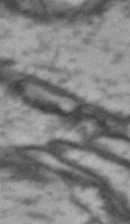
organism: Drosophila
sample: Brain